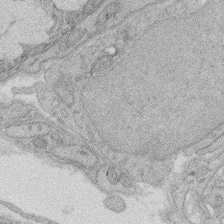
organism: Rat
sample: Salivary granule